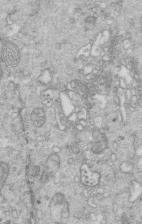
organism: Mouse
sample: Multiciliated cells